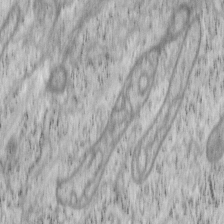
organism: Human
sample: HeLa cells